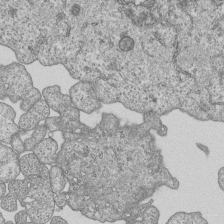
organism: Human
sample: MDA-MB-231 cells